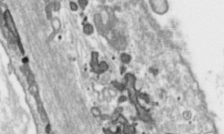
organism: Toxoplasma gondii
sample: Parasites in a vacuole inside a host cell